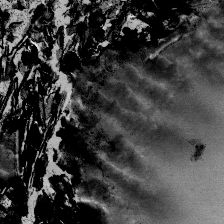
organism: Mouse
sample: Mouse Salivary gland